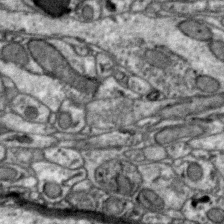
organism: Zebra finch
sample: Brain